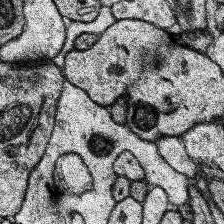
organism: Human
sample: Temporal Lobe